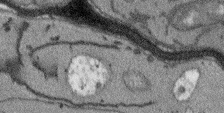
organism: Arabidopsis thaliana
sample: Root tip